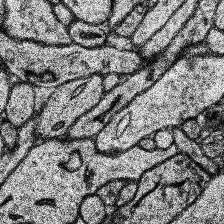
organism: Human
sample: Temporal Lobe